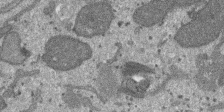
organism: Human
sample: Lung epithelial cells infected with SARS-CoV-2